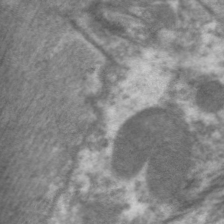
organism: C. elegans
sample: Pharynx